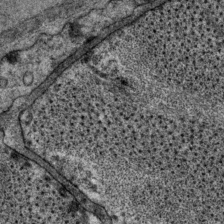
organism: P. pacificus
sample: Pharynx